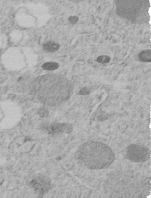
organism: C. elegans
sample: C. elegans embryo early stage